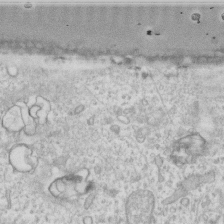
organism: Human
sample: Fibroblast cells